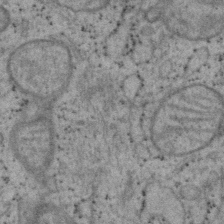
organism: Human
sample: HeLa cells